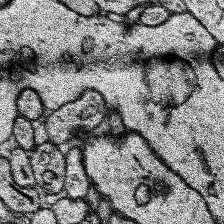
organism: Human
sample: Temporal Lobe